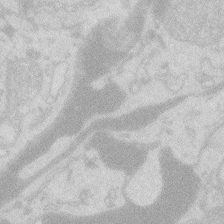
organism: Zebrafish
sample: Macrophage